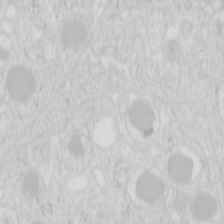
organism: Mouse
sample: Pancreas